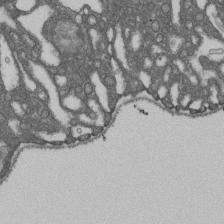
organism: Drosophila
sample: Nephrocyte